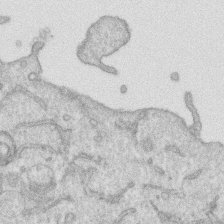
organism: Human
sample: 1205lu cells